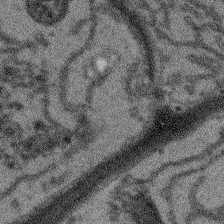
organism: Arabidopsis thaliana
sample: Root tip